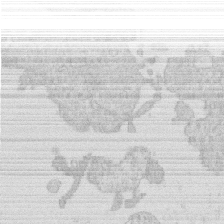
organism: Human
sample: Macrophage cells